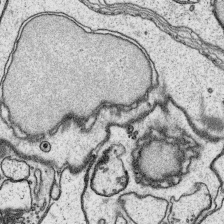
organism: Platynereis dumerilii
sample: Parapodia